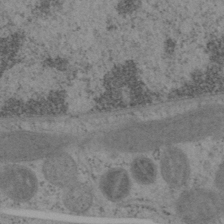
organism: Mouse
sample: OT-I killer T cells with ID8 ovarian cancer cells